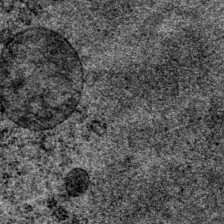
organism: P. pacificus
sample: Pharynx